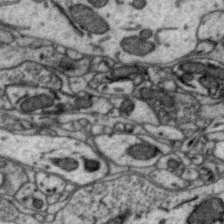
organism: Zebra finch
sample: Brain